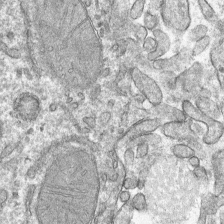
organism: Mouse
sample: Mouse hepatocytes